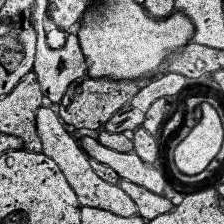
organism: Human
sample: Temporal Lobe